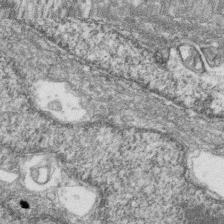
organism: Zebrafish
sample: Cilia; retinal pigment epithelium